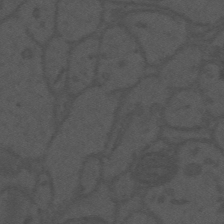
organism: Mouse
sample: Suprachiasmatic nucleus